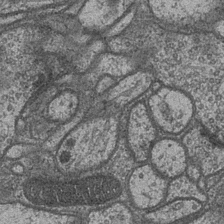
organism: Drosophila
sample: Optic medulla